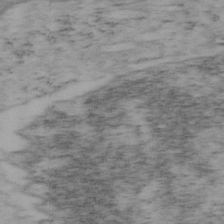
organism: Mouse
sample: OT-I killer T cells with ID8 ovarian cancer cells